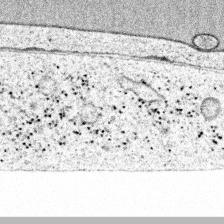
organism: Human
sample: HeLa cells